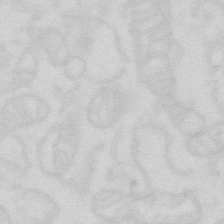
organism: Human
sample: HeLa cells